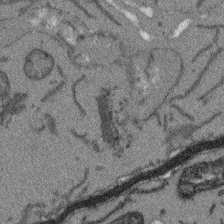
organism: Arabidopsis thaliana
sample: Root tip